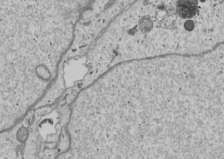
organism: Human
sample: Mitochondria in U2OS cells